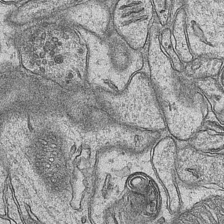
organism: Mouse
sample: CA1 Hippocampus